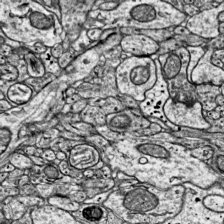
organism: Mouse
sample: Visual Cortex